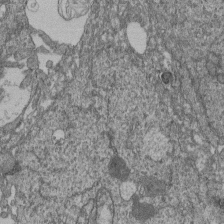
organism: Human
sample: Retinal organoid Rod and Cone cells